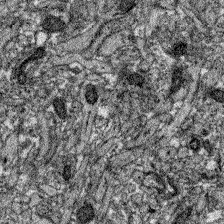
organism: Zebrafish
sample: Larval olfactory bulb